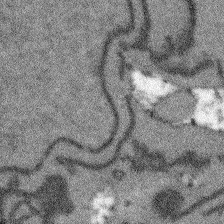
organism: Arabidopsis thaliana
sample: Root tip